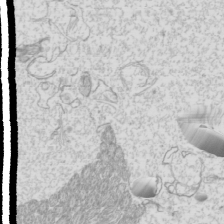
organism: Mouse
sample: Cilia; mouse epididymis